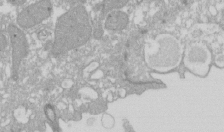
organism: Xenopus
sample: Cilia; centrioles in frog embryo cells